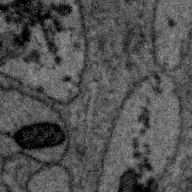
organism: Zebra finch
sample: Brain